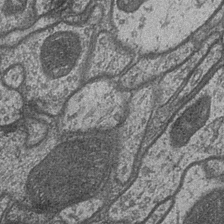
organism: Drosophila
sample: Optic medulla